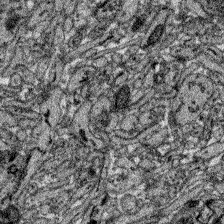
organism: Zebrafish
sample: Larval olfactory bulb